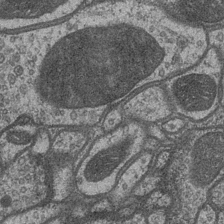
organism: Drosophila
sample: Optic medulla